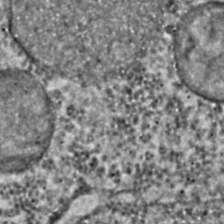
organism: C. elegans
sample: C. elegans embryo